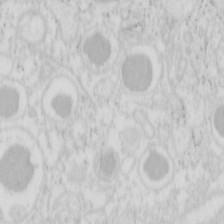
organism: Mouse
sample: Pancreas